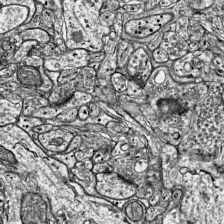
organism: Mouse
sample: Visual Cortex